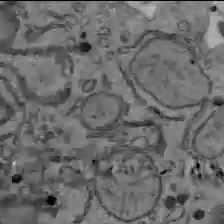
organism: C57BL Mouse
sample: Liver